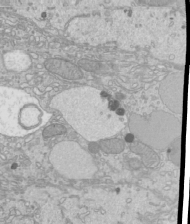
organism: Mouse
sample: Cilia; mouse epididymis